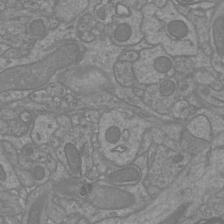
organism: Mouse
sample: Cortical neurons